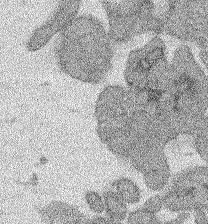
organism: Human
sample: HeLa cells